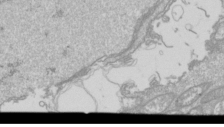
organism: Drosophila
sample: Cell division; meiosis; drosophila spermatocytes